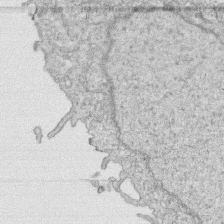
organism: Human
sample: HeLa cell HIV synapse